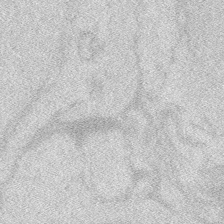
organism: Zebrafish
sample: Macrophage